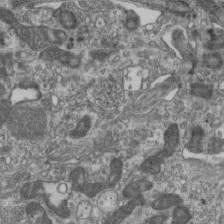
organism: Mouse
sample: Centriole in ependymal cells